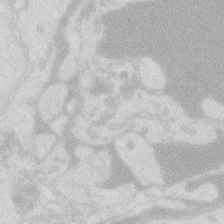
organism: Zebrafish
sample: Macrophage